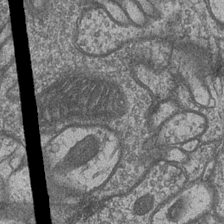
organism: Drosophila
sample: Optic medulla